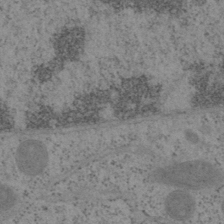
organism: Mouse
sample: OT-I killer T cells with ID8 ovarian cancer cells